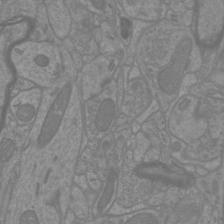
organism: Mouse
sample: Cortical neurons